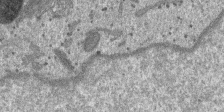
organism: Human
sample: Lung epithelial cells infected with SARS-CoV-2